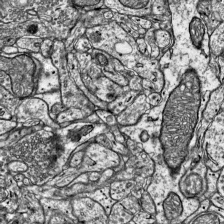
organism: Mouse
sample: Visual Cortex